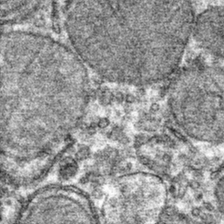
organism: Mouse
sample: Mouse hepatocytes